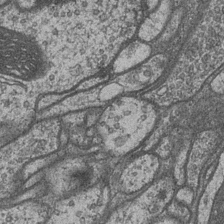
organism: Drosophila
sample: Optic medulla